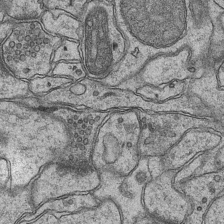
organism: Mouse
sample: CA1 Hippocampus